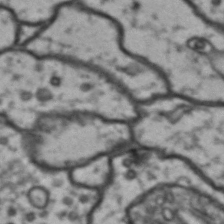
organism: Drosophila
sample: Brain